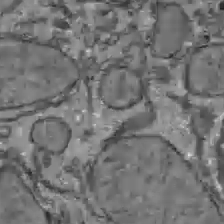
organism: C57BL Mouse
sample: Liver